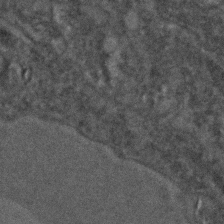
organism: C. elegans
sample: C. elegans embryo